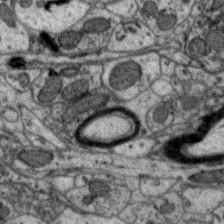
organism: Zebra finch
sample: Brain